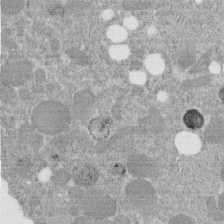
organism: C. elegans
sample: C. elegans embryo early stage